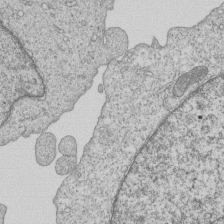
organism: Human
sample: MDA-MB-231 cells